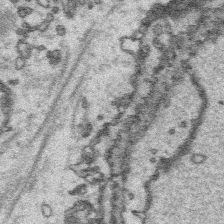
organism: Platynereis dumerilii